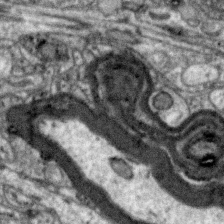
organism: Zebra finch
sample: Brain